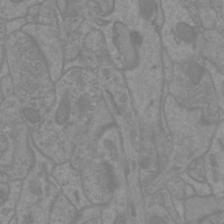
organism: Mouse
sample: Cortical neurons